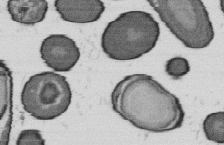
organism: B. subtilis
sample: Bacterial spore